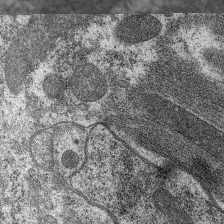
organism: C. elegans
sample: Pharynx